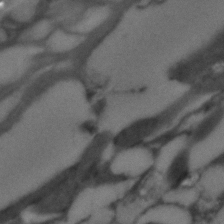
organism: C. elegans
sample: C. elegans embryo